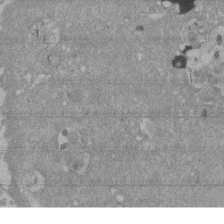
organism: Mouse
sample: ED-1 cell nuclei; centrioles